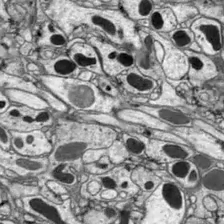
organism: Drosophila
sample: Optic lobe